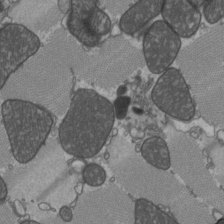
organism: C57BL Mouse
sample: Heart